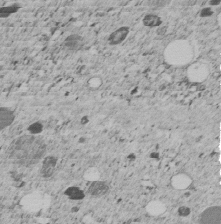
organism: C. elegans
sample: C. elegans embryo early stage